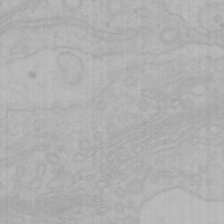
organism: Mouse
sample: Choroid plexus